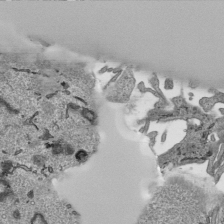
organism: Human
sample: Mitochondria in HCT116 cells